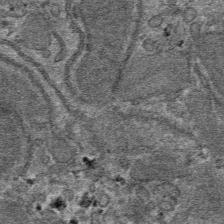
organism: Mouse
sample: Mouse hepatocytes